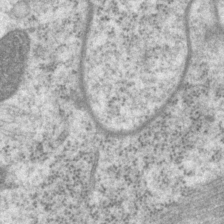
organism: P. pacificus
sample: Pharynx